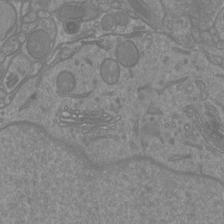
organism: Mouse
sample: Cortical neurons